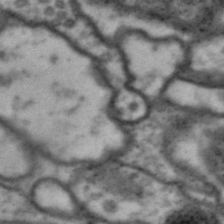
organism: Drosophila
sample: Brain